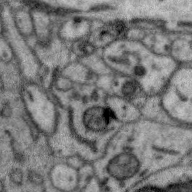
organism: Zebra finch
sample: Brain